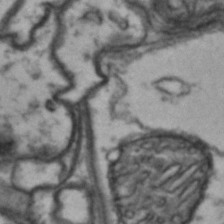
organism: Drosophila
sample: Brain